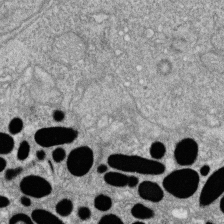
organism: Zebrafish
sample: Cilia; retinal pigment epithelium